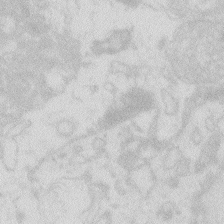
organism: Zebrafish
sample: Macrophage